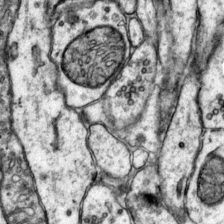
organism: Mouse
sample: Primary visual cortex